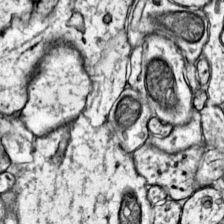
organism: Mouse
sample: Primary visual cortex